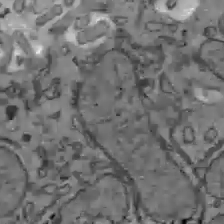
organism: C57BL Mouse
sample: Liver